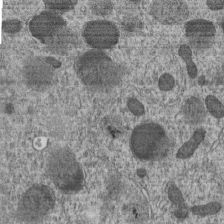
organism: C. elegans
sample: C. elegans embryo early stage